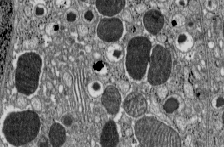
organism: C57BL Mouse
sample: Pancreatic islet